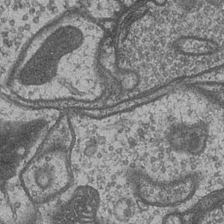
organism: Drosophila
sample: Optic medulla